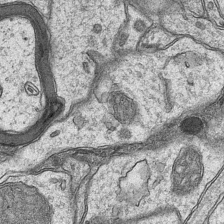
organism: Mouse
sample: CA1 Hippocampus